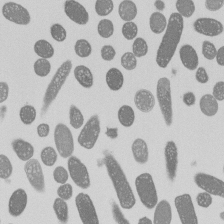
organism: E. coli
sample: Bacterial nucleoid